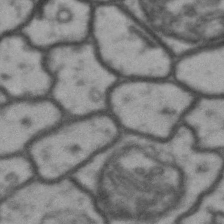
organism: Drosophila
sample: Brain